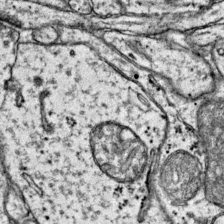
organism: Mouse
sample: Primary visual cortex